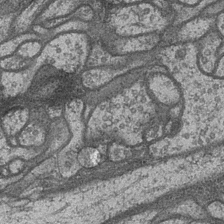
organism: Drosophila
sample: Optic medulla